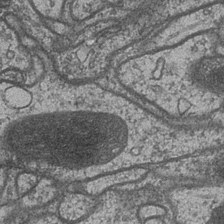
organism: Drosophila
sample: Optic medulla